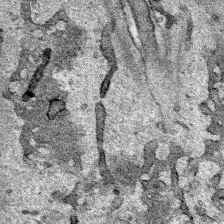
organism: Human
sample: Mitochondria in HCT116 cells